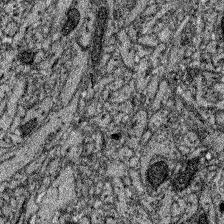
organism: Zebrafish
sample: Larval olfactory bulb